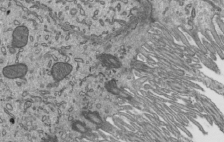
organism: Mouse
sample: Mouse epididymis efferent ductule cilia